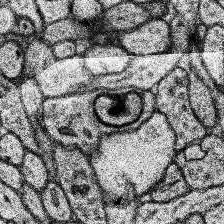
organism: Human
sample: Temporal Lobe